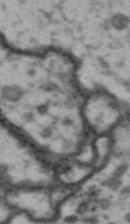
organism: Drosophila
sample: Brain